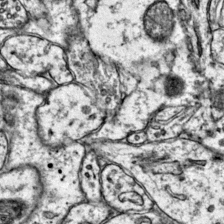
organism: Mouse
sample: Primary visual cortex